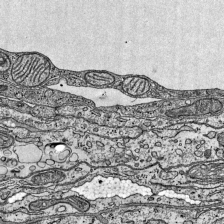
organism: Mouse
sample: Visual Cortex